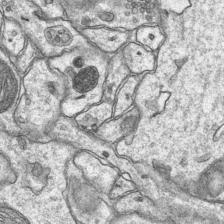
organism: Mouse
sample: CA1 Hippocampus